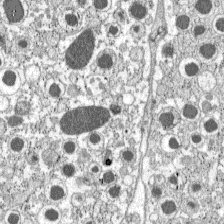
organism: C57BL Mouse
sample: Pancreatic islet